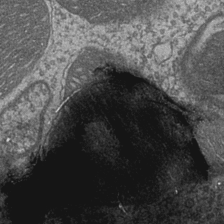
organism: Drosophila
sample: Optic medulla